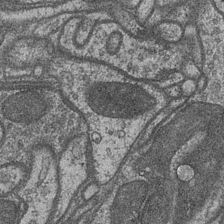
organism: Drosophila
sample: Optic medulla